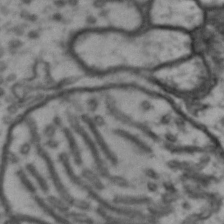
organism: Drosophila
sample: Brain